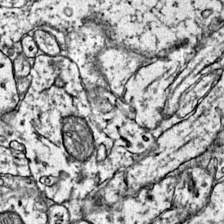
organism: Mouse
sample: Primary visual cortex